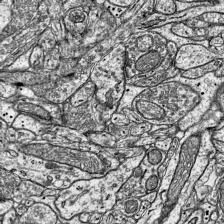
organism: Mouse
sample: Visual Cortex